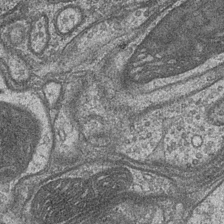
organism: Drosophila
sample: Optic medulla